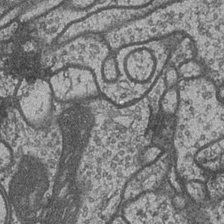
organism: Drosophila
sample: Optic medulla